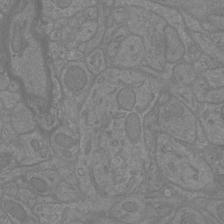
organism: Mouse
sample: Cortical neurons